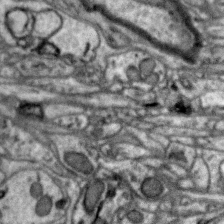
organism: Zebra finch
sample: Brain